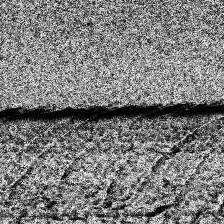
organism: Human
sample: Temporal Lobe